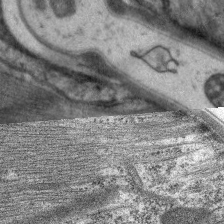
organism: C. elegans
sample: Pharynx